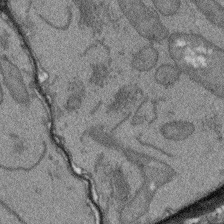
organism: Arabidopsis thaliana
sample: Root tip